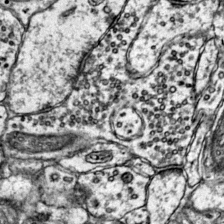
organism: Mouse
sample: Primary visual cortex